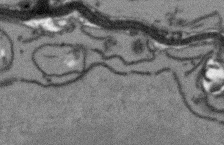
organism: Arabidopsis thaliana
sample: Root tip